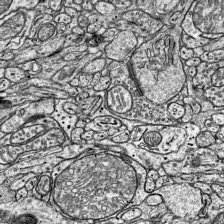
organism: Mouse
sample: Visual Cortex